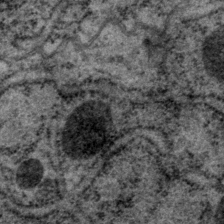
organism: P. pacificus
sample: Pharynx